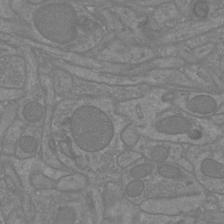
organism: Mouse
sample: Cortical neurons